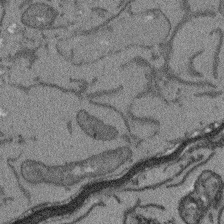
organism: Arabidopsis thaliana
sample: Root tip